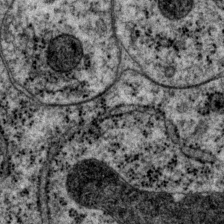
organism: P. pacificus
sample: Pharynx